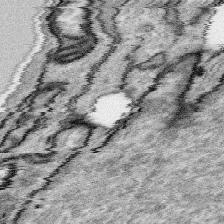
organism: Human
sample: HeLa cells